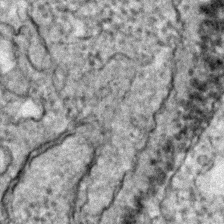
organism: Zebrafish